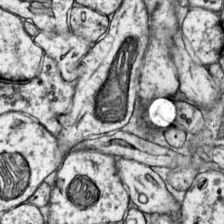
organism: Mouse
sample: Primary visual cortex